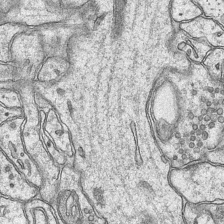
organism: Mouse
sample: CA1 Hippocampus